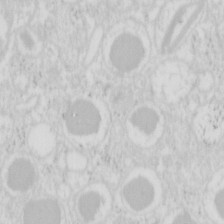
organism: Mouse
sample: Pancreas